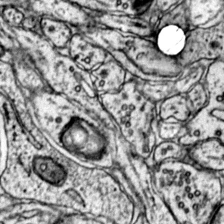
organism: Mouse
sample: Primary visual cortex